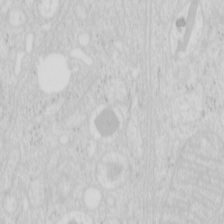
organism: Mouse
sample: Pancreas